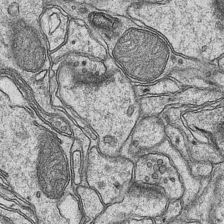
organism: Mouse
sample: CA1 Hippocampus